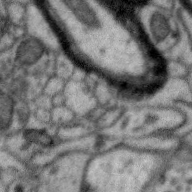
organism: Zebra finch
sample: Brain